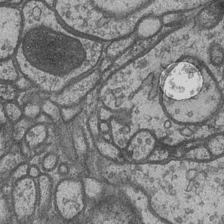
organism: Drosophila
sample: Optic medulla